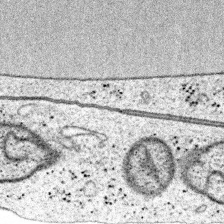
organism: Human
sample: HeLa cells